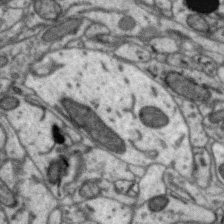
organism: Zebra finch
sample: Brain